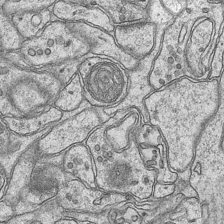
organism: Mouse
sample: CA1 Hippocampus